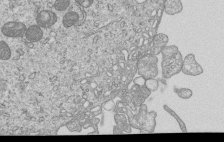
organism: Human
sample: MDA-MB-231 cells